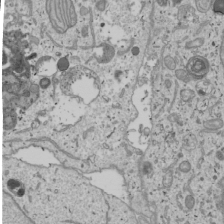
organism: Human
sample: Mitochondria in U2OS cells